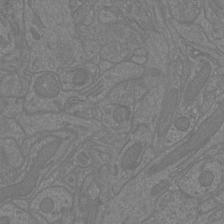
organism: Mouse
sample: Cortical neurons